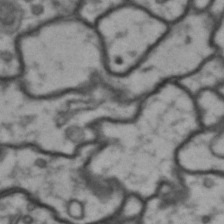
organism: Drosophila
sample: Brain